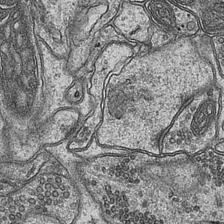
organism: Mouse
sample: CA1 Hippocampus